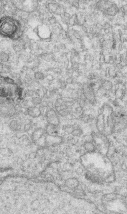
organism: Human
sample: HeLa cell HIV synapse